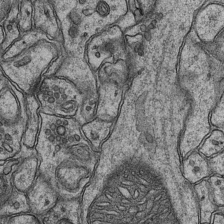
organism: Mouse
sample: CA1 Hippocampus